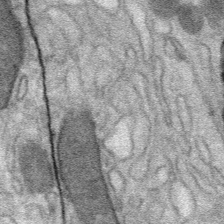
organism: Mouse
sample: Mouse Salivary gland